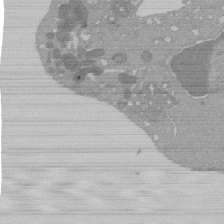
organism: Mouse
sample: Activated Pmel transgenic CD8+ T Cells